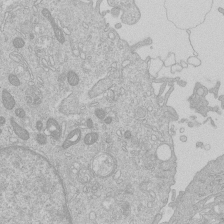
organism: Human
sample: Macrophage cells